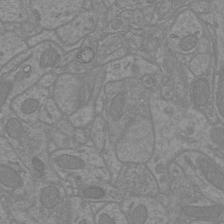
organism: Mouse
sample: Cortical neurons